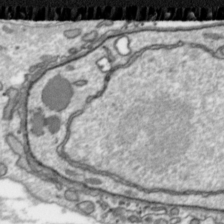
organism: Toxoplasma gondii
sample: Parasites in a vacuole inside a host cell